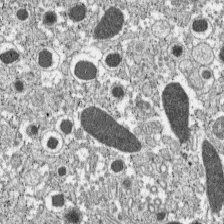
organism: C57BL Mouse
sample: Pancreatic islet